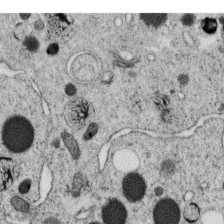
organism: C. elegans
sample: C. elegans oocyte; sperm cells